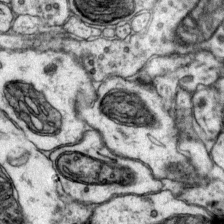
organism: Mouse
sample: Primary visual cortex